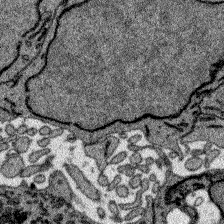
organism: Zebrafish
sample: Larval olfactory bulb